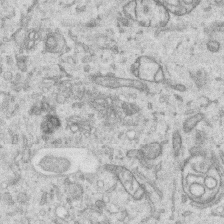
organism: Human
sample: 1205lu cells